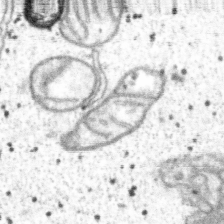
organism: Human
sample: HeLa cells